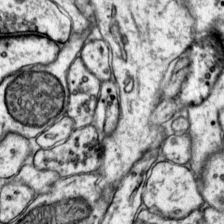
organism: Mouse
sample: Primary visual cortex